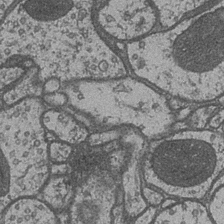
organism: Drosophila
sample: Optic medulla